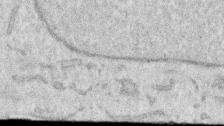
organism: Human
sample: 1205lu cells